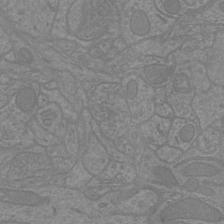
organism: Mouse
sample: Cortical neurons